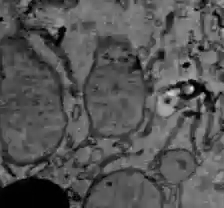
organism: C57BL Mouse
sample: Liver